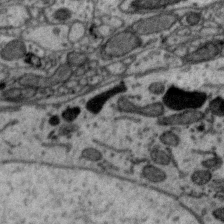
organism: Zebra finch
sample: Brain